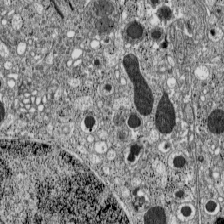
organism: C57BL Mouse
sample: Pancreatic islet